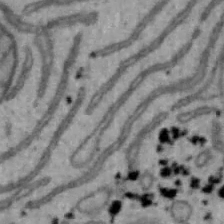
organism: Mouse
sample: Liver